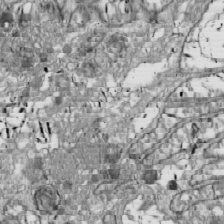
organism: Drosophila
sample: Cell division; meiosis; drosophila spermatocytes